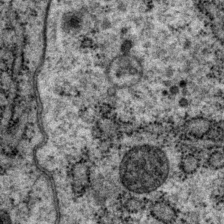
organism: P. pacificus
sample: Pharynx